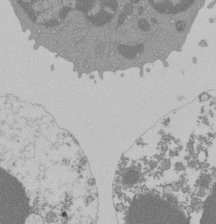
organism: Mouse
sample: Activated Pmel transgenic CD8+ T Cells